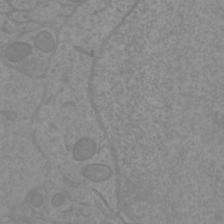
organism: Mouse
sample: Cortical neurons